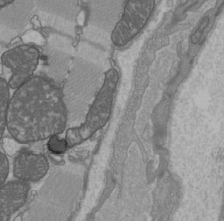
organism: C57BL Mouse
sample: Heart